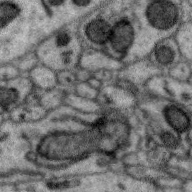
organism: Zebra finch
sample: Brain